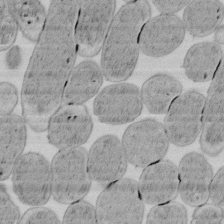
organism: E. coli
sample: Bacterial nucleoid